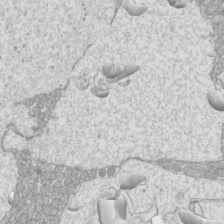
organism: Mouse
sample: Cilia; mouse epididymis